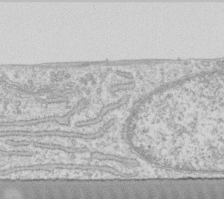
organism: Human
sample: Fibroblast cells